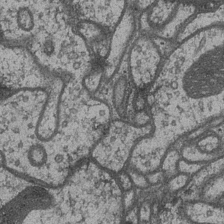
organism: Drosophila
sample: Optic medulla